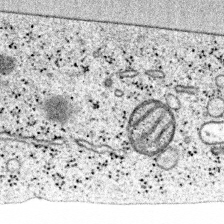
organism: Human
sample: HeLa cells